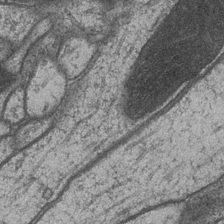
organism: Drosophila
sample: Optic medulla